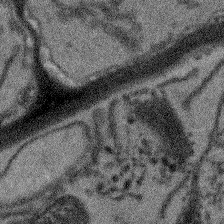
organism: Arabidopsis thaliana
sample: Root tip